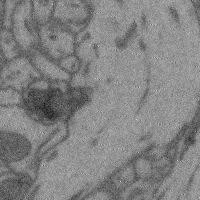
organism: Mouse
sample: Cerebral cortex